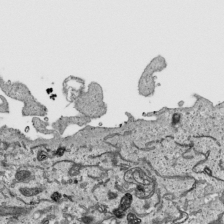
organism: Human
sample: Mitochondria in HCT116 cells